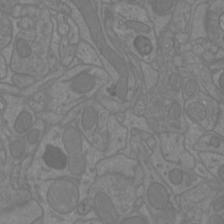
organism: Mouse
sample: Cortical neurons